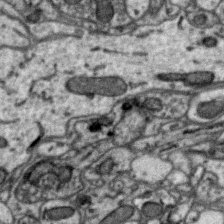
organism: Zebra finch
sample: Brain